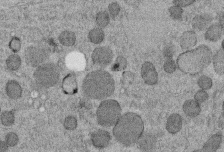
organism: C. elegans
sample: C. elegans embryo early stage